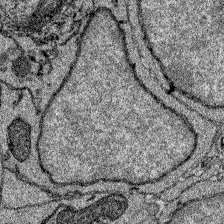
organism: Zebrafish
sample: Larval olfactory bulb